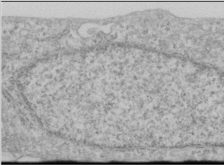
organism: Human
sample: Cilia; basal body in RPE cells